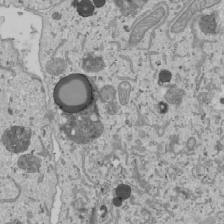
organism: Human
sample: Mitochondria in U2OS cells